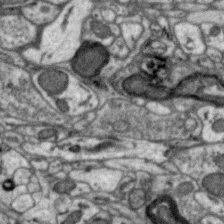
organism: Zebra finch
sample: Brain